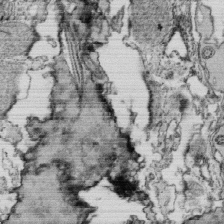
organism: Tetrahymena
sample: Cilia in tetrahymena